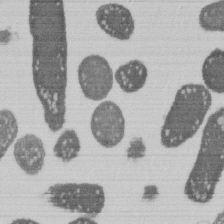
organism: E. coli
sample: Bacterial nucleoid